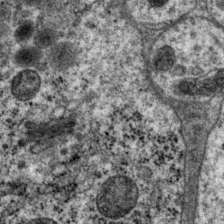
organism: P. pacificus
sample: Pharynx